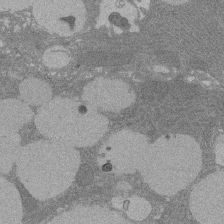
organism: Rat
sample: Salivary granule